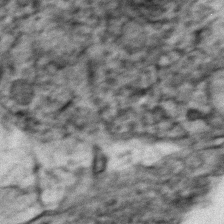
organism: Zebrafish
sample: Zebrafish embryo